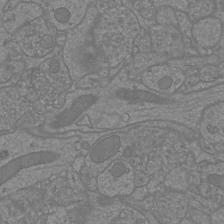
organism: Mouse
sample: Cortical neurons